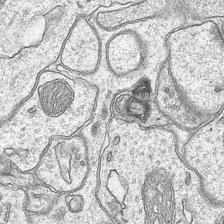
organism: Mouse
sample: CA1 Hippocampus